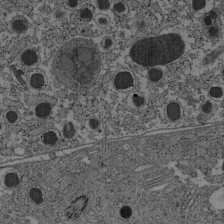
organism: C57BL Mouse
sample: Pancreatic islet